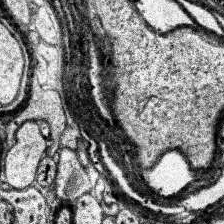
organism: Human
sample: Temporal Lobe